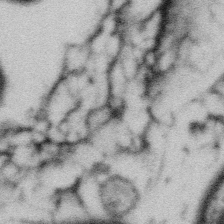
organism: Gemmata obscuriglobus